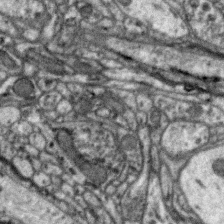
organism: Zebra finch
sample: Brain